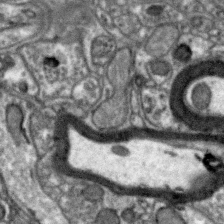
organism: Zebra finch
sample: Brain